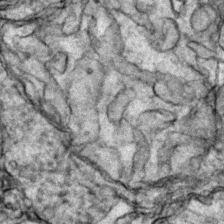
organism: Zebrafish